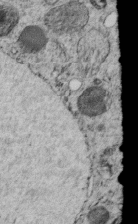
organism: C. elegans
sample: C. elegans embryo early stage